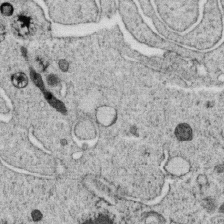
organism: C. elegans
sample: C. elegans oocyte; sperm cells